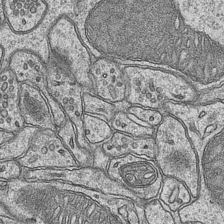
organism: Mouse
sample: CA1 Hippocampus